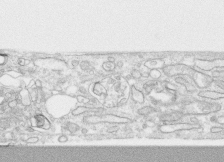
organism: Human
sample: CRL-1474